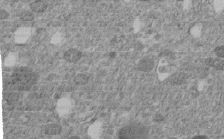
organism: C. elegans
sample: C. elegans embryo early stage